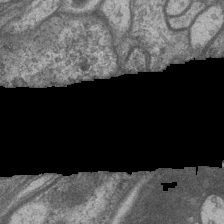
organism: Drosophila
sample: Optic medulla